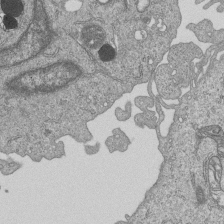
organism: Human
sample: MDA-MB-231 cells